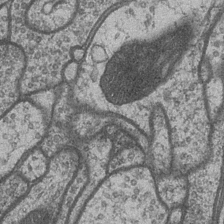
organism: Drosophila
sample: Optic medulla